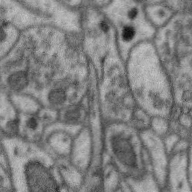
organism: Zebra finch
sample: Brain